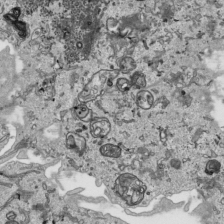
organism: Human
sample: Mitochondria in HCT116 cells